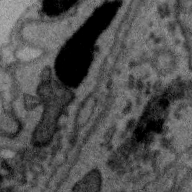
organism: Zebra finch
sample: Brain